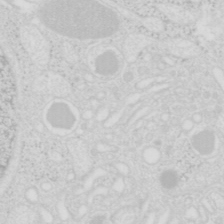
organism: Mouse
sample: Pancreas